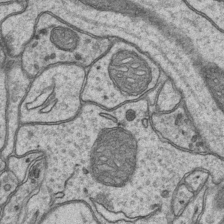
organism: Mouse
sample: CA1 Hippocampus